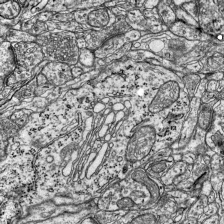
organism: Mouse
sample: Visual Cortex